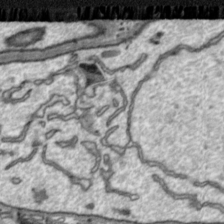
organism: Toxoplasma gondii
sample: Parasites in a vacuole inside a host cell